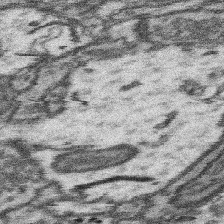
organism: Mouse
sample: Somatosensory cortex neuropil